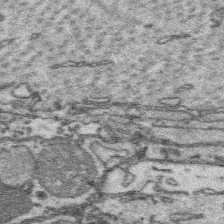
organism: Platynereis dumerilii